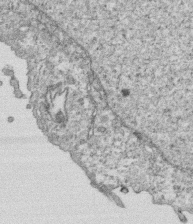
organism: Human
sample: HeLa cell HIV synapse